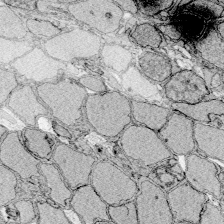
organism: Zebrafish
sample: Whole-Brain